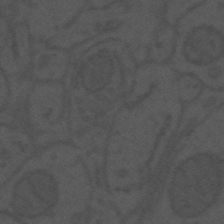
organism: Mouse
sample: Suprachiasmatic nucleus